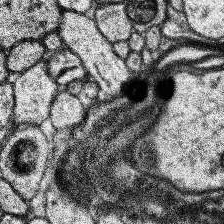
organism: Human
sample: Temporal Lobe